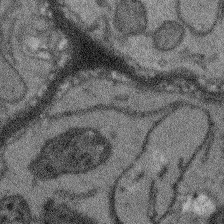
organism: Arabidopsis thaliana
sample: Root tip